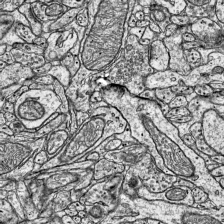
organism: Mouse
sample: Visual Cortex